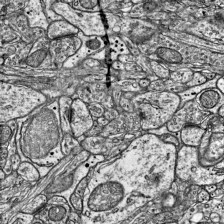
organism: Mouse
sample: Visual Cortex